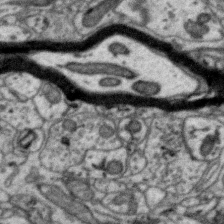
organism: Zebra finch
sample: Brain